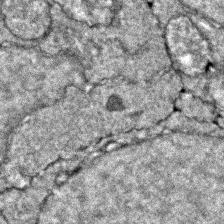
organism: Zebrafish